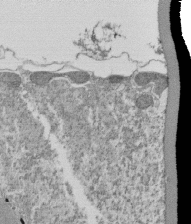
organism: Tetrahymena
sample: Cilia in tetrahymena